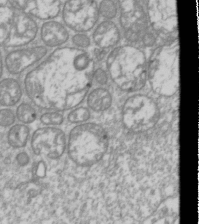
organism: Drosophila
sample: Cell division; meiosis; drosophila spermatocytes